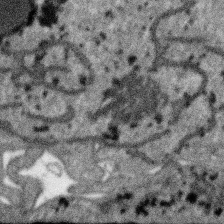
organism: Human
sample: Lung epithelial cells infected with SARS-CoV-2